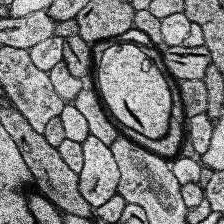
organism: Human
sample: Temporal Lobe